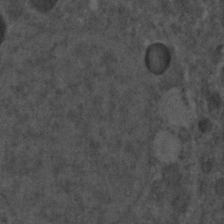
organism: C. elegans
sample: C. elegans embryo